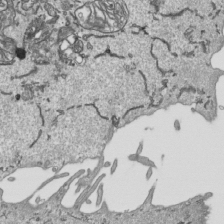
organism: Human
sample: Mitochondria in HCT116 cells